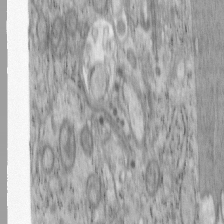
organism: Human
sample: HeLa cells